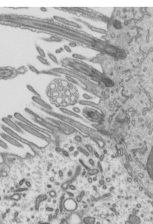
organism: Mouse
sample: Mouse epididymis efferent ductule cilia